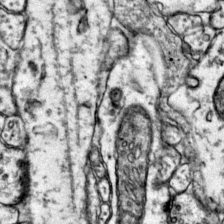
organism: Mouse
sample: Primary visual cortex